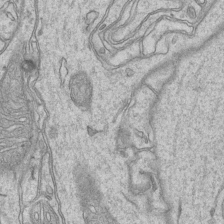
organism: Mouse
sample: CA1 Hippocampus